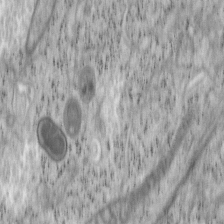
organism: Human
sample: HeLa cells